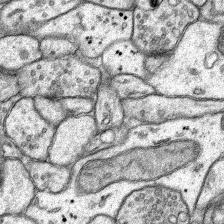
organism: Rat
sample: Hippocampus